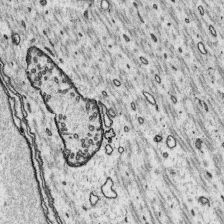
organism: Platynereis dumerilii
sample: Parapodia